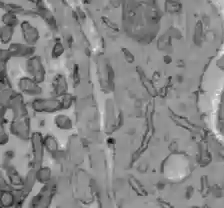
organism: C57BL Mouse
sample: Liver